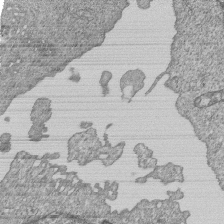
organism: Human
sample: MDA-MB-231 cells